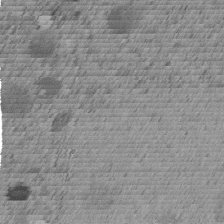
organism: C. elegans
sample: C. elegans embryo early stage